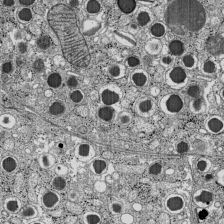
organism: C57BL Mouse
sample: Pancreatic islet